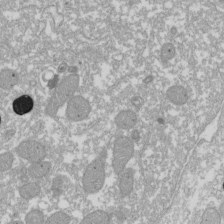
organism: Xenopus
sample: Cilia; centrioles in frog embryo cells